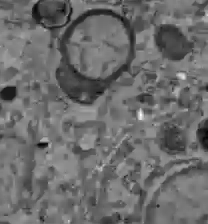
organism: C57BL Mouse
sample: Liver